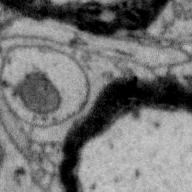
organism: Zebra finch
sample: Brain